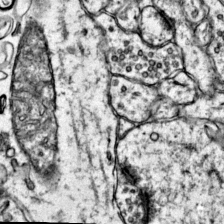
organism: Mouse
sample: Primary visual cortex